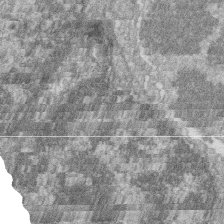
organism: Zebrafish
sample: Cilia; retinal pigment epithelium